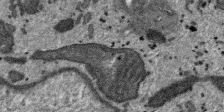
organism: Human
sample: Lung epithelial cells, uninfected (mock) control